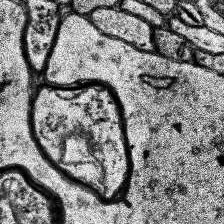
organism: Human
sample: Temporal Lobe